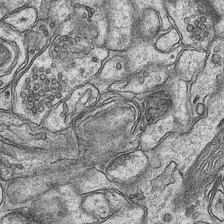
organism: Mouse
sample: CA1 Hippocampus